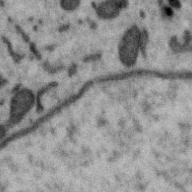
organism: Zebra finch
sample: Brain